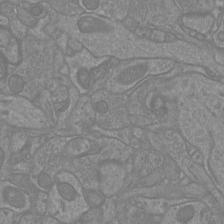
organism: Mouse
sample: Cortical neurons